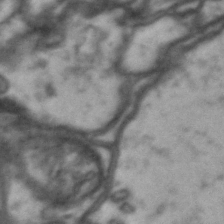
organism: Drosophila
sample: Brain